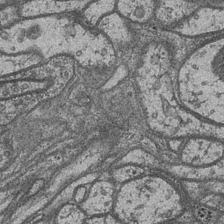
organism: Drosophila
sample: Optic medulla